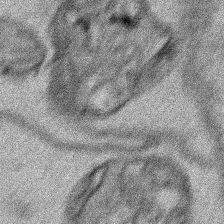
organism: Human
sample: Mitochondria in HCT116 cells